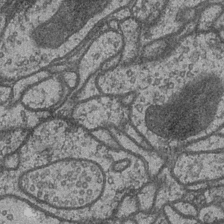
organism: Drosophila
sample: Optic medulla